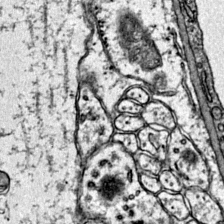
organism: Mouse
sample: Primary visual cortex